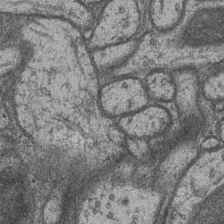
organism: Drosophila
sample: Optic medulla